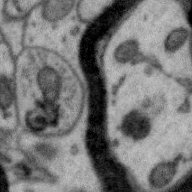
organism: Zebra finch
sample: Brain